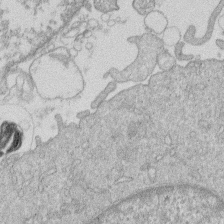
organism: Human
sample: Macrophage cells